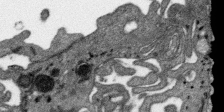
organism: Human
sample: Lung epithelial cells, uninfected (mock) control